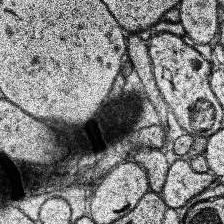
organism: Human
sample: Temporal Lobe